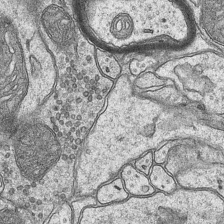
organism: Mouse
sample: CA1 Hippocampus